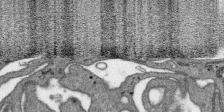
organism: Human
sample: Lung epithelial cells, uninfected (mock) control